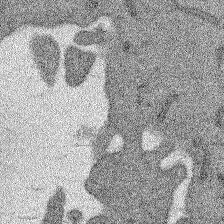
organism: Human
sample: HeLa cells